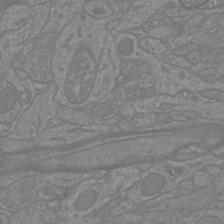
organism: Mouse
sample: Cortical neurons